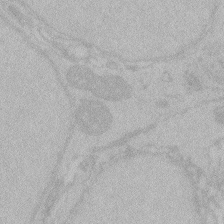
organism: Zebrafish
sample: Macrophage infected with Toxoplasma gondii